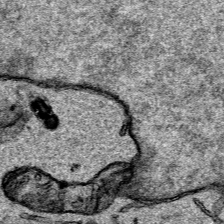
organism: Human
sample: Mitochondria in HCT116 cells